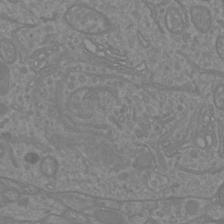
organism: Mouse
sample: Cortical neurons